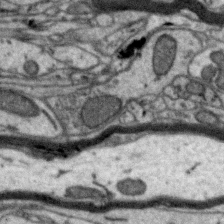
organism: Zebra finch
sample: Brain